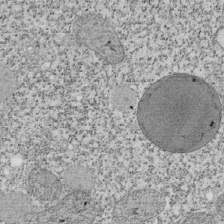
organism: Tetrahymena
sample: Cilia in tetrahymena